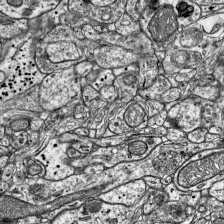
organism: Mouse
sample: Visual Cortex